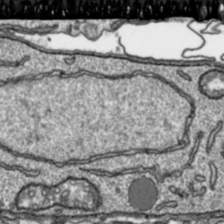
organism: Toxoplasma gondii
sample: Parasites in a vacuole inside a host cell